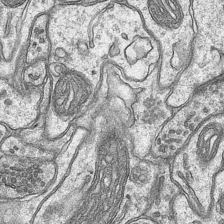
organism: Mouse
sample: CA1 Hippocampus